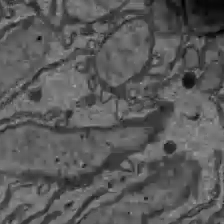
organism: C57BL Mouse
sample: Liver